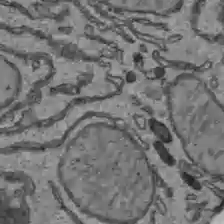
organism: C57BL Mouse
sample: Liver